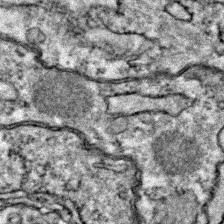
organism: Zebrafish